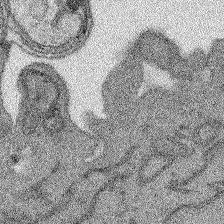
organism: Human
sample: HeLa cells